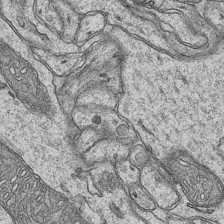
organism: Mouse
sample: CA1 Hippocampus